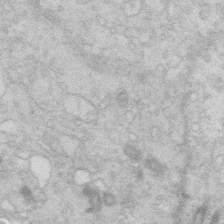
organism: Mouse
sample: Multiciliated cells